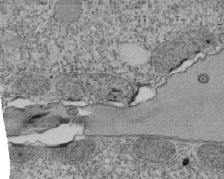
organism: Tetrahymena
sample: Cilia in tetrahymena